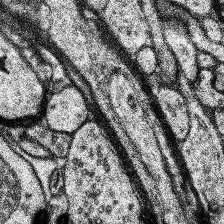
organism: Human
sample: Temporal Lobe